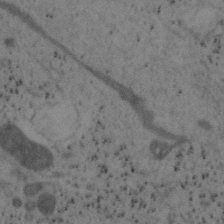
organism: Human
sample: HeLa cells